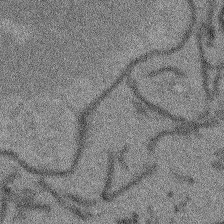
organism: Arabidopsis thaliana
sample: Root tip